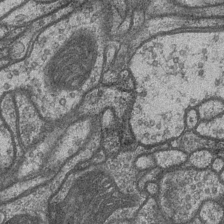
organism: Drosophila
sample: Optic medulla